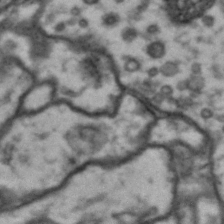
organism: Drosophila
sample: Brain